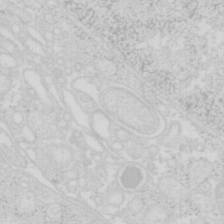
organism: Mouse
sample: Pancreas